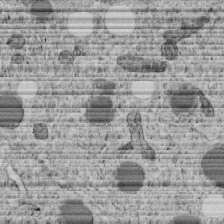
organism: C. elegans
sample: C. elegans embryo early stage